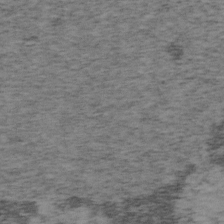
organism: Mouse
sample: OT-I killer T cells with ID8 ovarian cancer cells